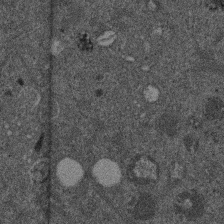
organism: Mouse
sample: Dividing mouse embryo 1 cell stage